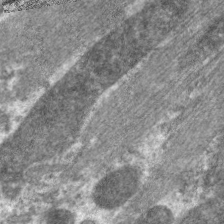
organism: C. elegans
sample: Pharynx